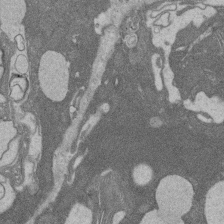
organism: Rat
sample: Salivary granule